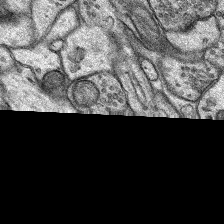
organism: Rat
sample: Hippocampus